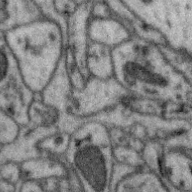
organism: Zebra finch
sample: Brain